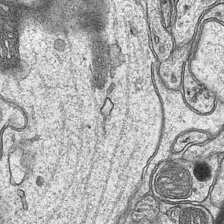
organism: Mouse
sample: CA1 Hippocampus